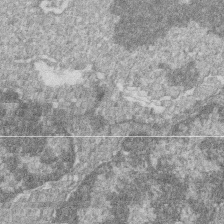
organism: Zebrafish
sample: Cilia; retinal pigment epithelium